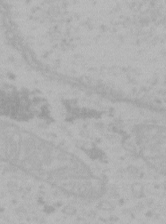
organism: Mouse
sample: Choroid plexus